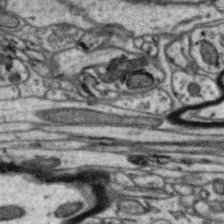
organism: Zebra finch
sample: Brain